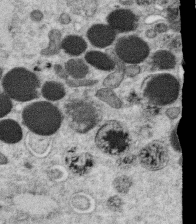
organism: C. elegans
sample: C. elegans oocyte; sperm cells